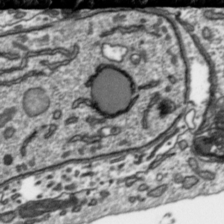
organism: Toxoplasma gondii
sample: Parasites in a vacuole inside a host cell